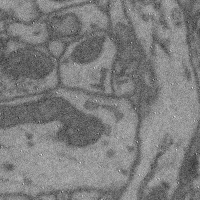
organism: Mouse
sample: Cerebral cortex